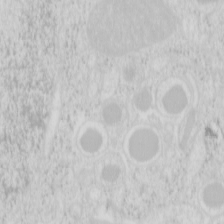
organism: Mouse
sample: Pancreas